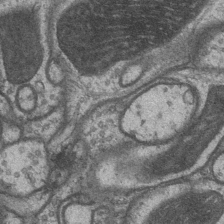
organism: Drosophila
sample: Optic medulla